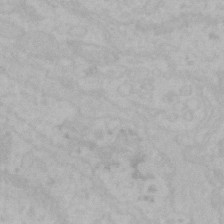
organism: Mouse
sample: Choroid plexus